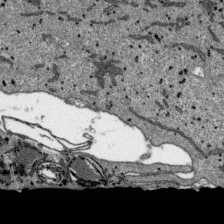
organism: Human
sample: Lung epithelial cells, uninfected (mock) control